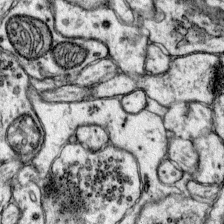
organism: Mouse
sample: Primary visual cortex